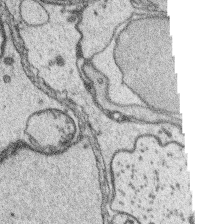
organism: Platynereis dumerilii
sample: Parapodia